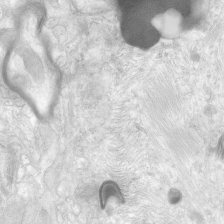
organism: Human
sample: Neocortex